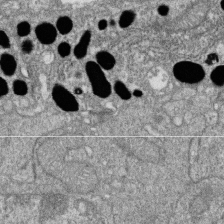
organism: Zebrafish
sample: Cilia; retinal pigment epithelium